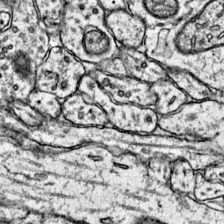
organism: Mouse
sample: Primary visual cortex